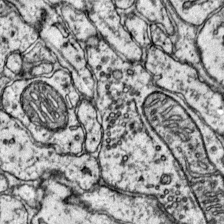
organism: Mouse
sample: Primary visual cortex